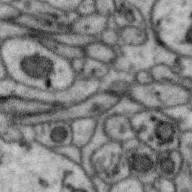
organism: Zebra finch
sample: Brain